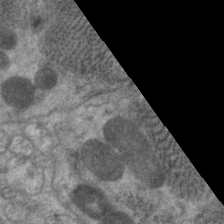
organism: C. elegans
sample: Pharynx